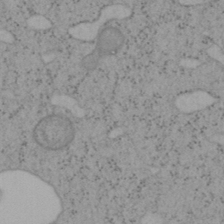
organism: Mouse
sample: OT-I killer T cells with ID8 ovarian cancer cells